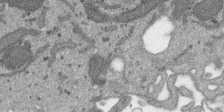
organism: Human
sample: Lung epithelial cells infected with SARS-CoV-2